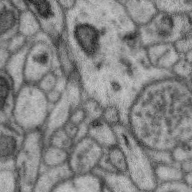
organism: Zebra finch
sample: Brain